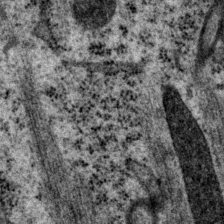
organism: P. pacificus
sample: Pharynx